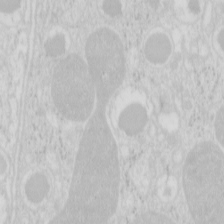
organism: Mouse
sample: Pancreas